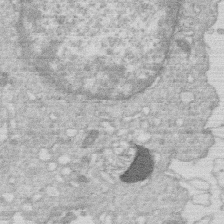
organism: Human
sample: Macrophage cells